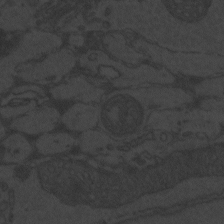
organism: Zebrafish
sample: Macrophage infected with Toxoplasma gondii